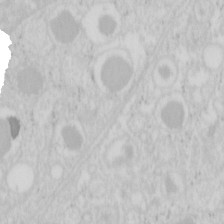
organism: Mouse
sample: Pancreas